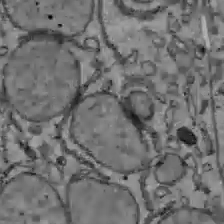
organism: C57BL Mouse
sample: Liver